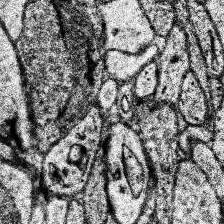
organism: Human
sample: Temporal Lobe